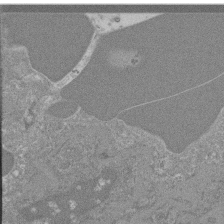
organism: Mouse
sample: Glomerulus